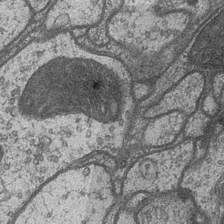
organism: Drosophila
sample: Optic medulla